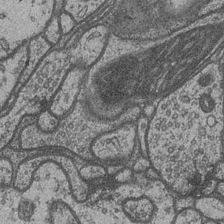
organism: Drosophila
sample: Optic medulla